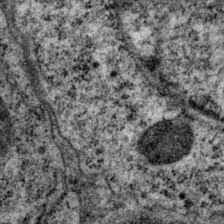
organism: P. pacificus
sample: Pharynx